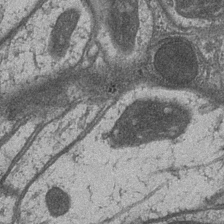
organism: Drosophila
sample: Optic medulla